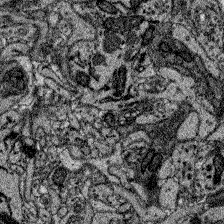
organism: Zebrafish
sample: Larval olfactory bulb